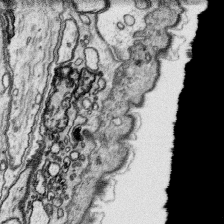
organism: Platynereis dumerilii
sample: Parapodia